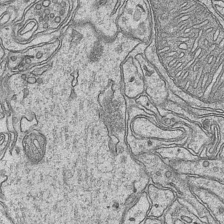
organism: Mouse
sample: CA1 Hippocampus